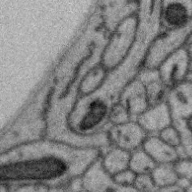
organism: Zebra finch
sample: Brain